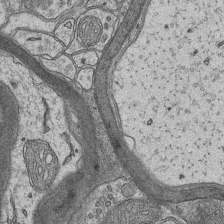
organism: Mouse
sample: CA1 Hippocampus